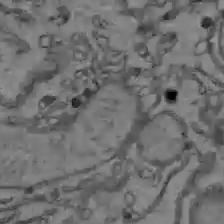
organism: C57BL Mouse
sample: Liver